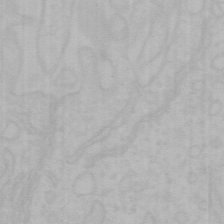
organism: Mouse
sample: Choroid plexus